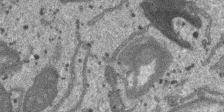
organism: Human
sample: Lung epithelial cells infected with SARS-CoV-2